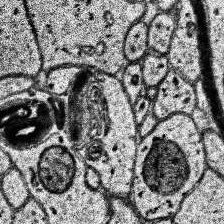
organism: Human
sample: Temporal Lobe